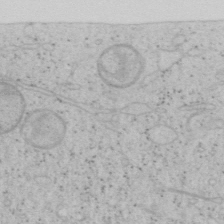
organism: Human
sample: HeLa cells